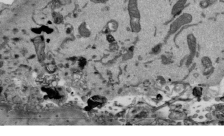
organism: Mouse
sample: ED-1 cell nuclei; centrioles